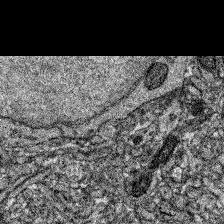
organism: Zebrafish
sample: Larval olfactory bulb